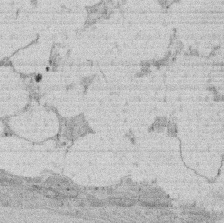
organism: Rat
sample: Salivary granule